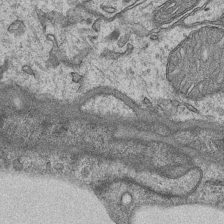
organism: Mouse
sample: CA1 Hippocampus